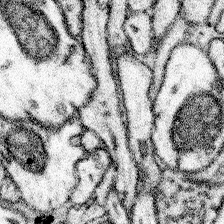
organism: Mouse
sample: Somatosensory cortex neuropil